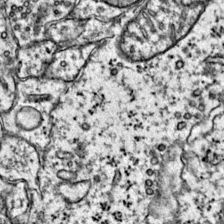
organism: Mouse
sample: Primary visual cortex